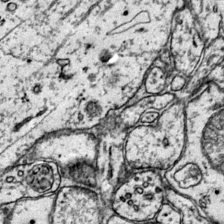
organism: Mouse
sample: Primary visual cortex